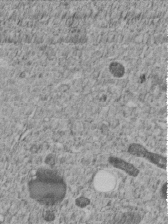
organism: C. elegans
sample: C. elegans embryo early stage